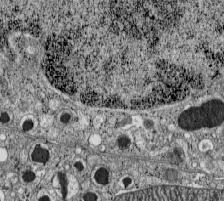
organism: C57BL Mouse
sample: Pancreatic islet